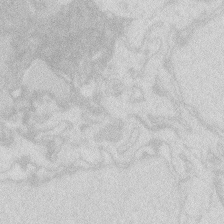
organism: Zebrafish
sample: Macrophage